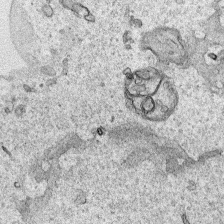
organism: Human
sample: Mitochondria in HCT116 cells